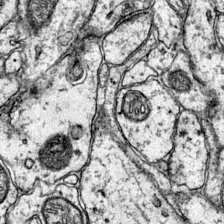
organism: Mouse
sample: Primary visual cortex